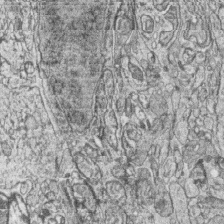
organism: Zebrafish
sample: synaptic ribbons in rod cells and cone cells